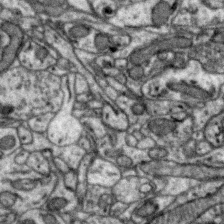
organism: Zebra finch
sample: Brain